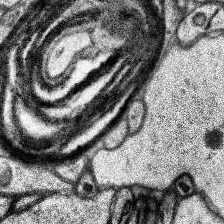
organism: Human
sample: Temporal Lobe